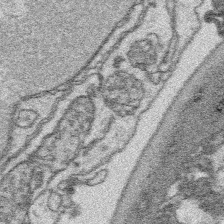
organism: Platynereis dumerilii